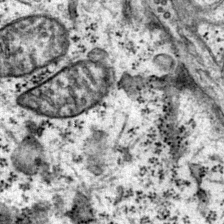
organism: Mouse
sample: Primary visual cortex